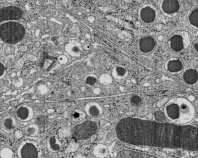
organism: C57BL Mouse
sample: Pancreatic islet